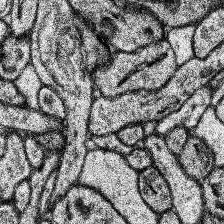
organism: Human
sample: Temporal Lobe